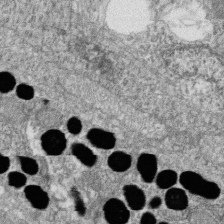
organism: Zebrafish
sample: Cilia; retinal pigment epithelium